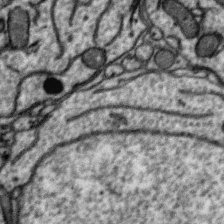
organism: Zebra finch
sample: Brain